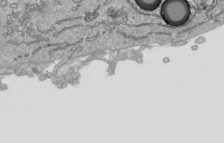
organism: Human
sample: Mitochondria in HCT116 cells